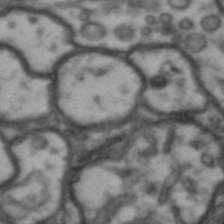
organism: Drosophila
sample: Brain